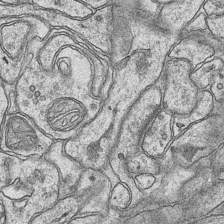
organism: Mouse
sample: CA1 Hippocampus